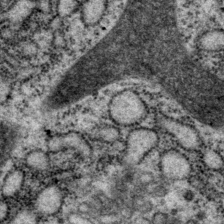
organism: P. pacificus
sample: Pharynx